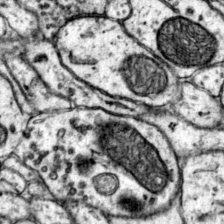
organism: Mouse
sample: Primary visual cortex